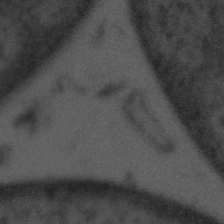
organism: Tuwongella immobilis